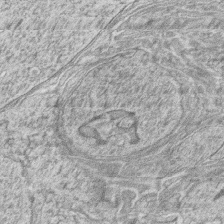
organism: Zebrafish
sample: synaptic ribbons in rod cells and cone cells